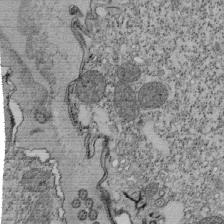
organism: Tetrahymena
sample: Cilia in tetrahymena